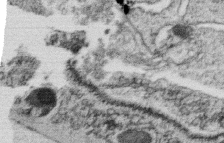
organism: C. elegans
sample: C. elegans oocyte; sperm cells